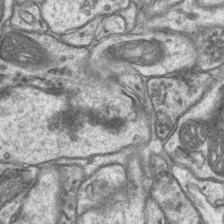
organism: Mouse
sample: CA1 Hippocampus